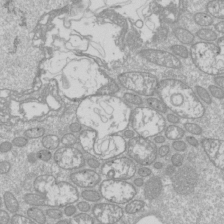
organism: Drosophila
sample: Cell division; meiosis; drosophila spermatocytes